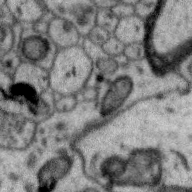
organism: Zebra finch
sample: Brain